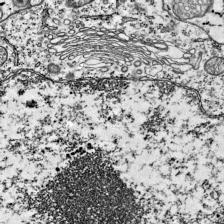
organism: Mouse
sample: Visual Cortex